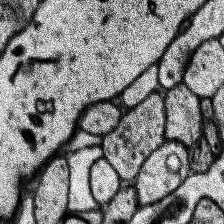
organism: Human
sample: Temporal Lobe